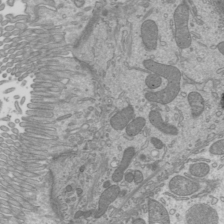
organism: Mouse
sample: Cilia; mouse epididymis